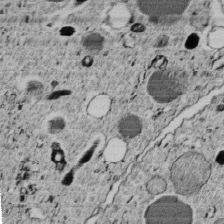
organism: C. elegans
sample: C. elegans embryo early stage